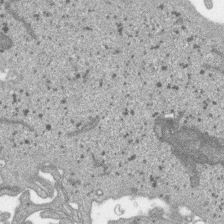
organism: Human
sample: Lung epithelial cells infected with SARS-CoV-2